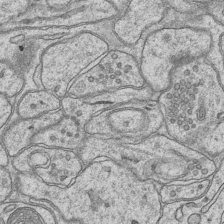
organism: Mouse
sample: CA1 Hippocampus